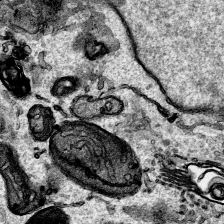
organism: Human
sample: Mitochondria in HCT116 cells